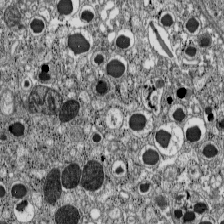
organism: C57BL Mouse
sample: Pancreatic islet